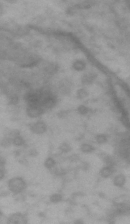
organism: Drosophila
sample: Brain